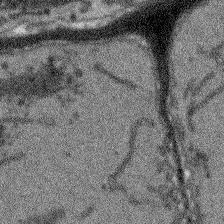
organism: Arabidopsis thaliana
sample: Root tip